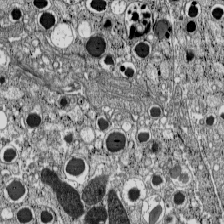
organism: C57BL Mouse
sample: Pancreatic islet